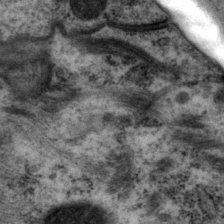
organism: P. pacificus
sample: Pharynx